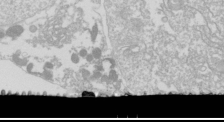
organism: Drosophila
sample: Cell division; meiosis; drosophila spermatocytes